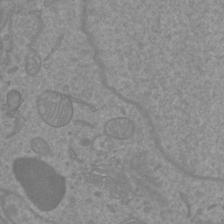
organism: Mouse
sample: Cortical neurons